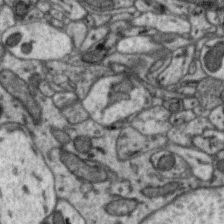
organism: Zebra finch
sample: Brain